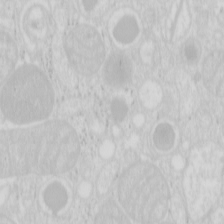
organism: Mouse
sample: Pancreas